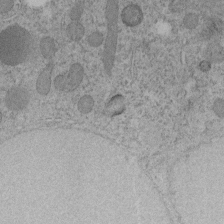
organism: C. elegans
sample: C. elegans embryo early stage